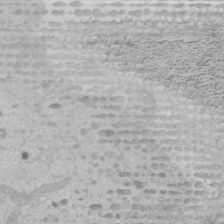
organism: Human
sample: Mitochondria in U2OS cells